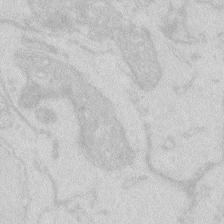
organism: Zebrafish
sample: Macrophage